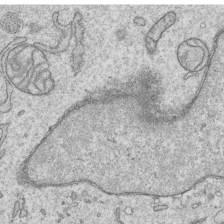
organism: Human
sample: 1205lu cells